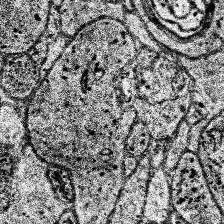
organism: Human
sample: Temporal Lobe